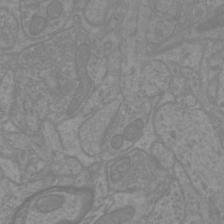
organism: Mouse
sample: Cortical neurons